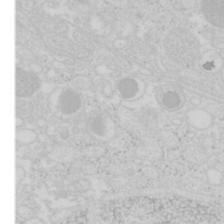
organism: Mouse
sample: Pancreas